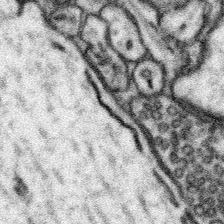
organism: Mouse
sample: Somatosensory cortex neuropil